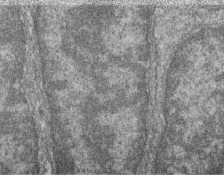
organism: Zebrafish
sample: Cilia; retinal pigment epithelium